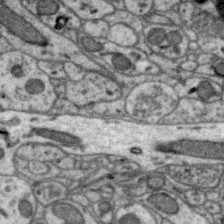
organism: Zebra finch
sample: Brain